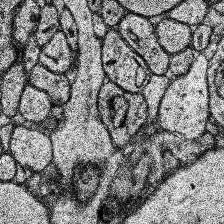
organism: Human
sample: Temporal Lobe